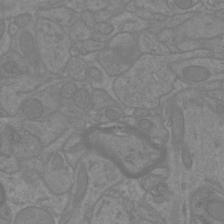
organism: Mouse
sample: Cortical neurons